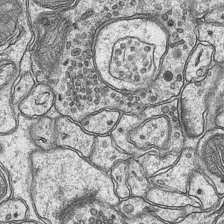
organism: Mouse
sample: CA1 Hippocampus